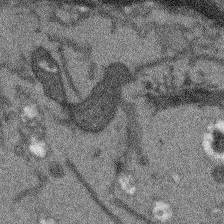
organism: Arabidopsis thaliana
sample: Root tip